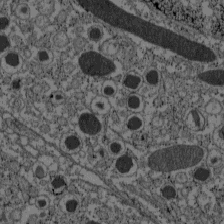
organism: C57BL Mouse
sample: Pancreatic islet